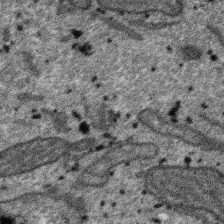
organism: Human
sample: Lung epithelial cells infected with SARS-CoV-2